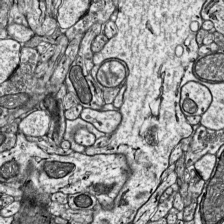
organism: Mouse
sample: Visual Cortex